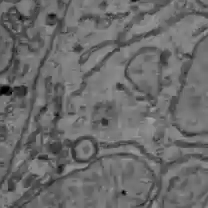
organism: C57BL Mouse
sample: Liver